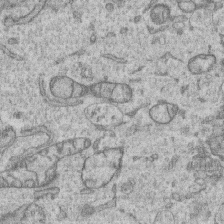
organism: Human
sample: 1205lu cells